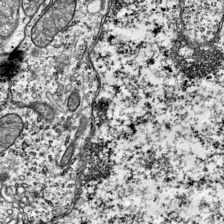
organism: Mouse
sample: Visual Cortex